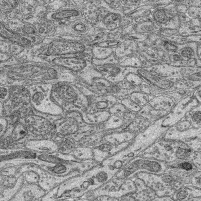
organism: Mouse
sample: Retina